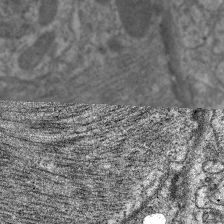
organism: C. elegans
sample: Pharynx